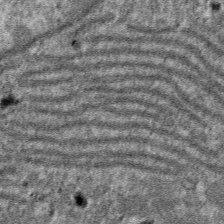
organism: Mouse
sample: Mouse hepatocytes